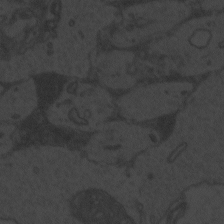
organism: Zebrafish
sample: Macrophage infected with Toxoplasma gondii